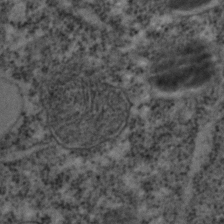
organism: C. elegans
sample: C. elegans embryo